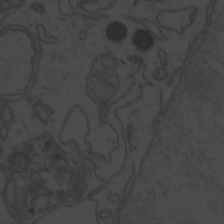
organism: Zebrafish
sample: Macrophage infected with Toxoplasma gondii